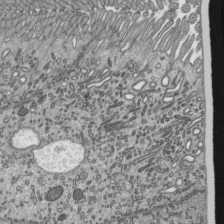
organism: Mouse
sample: Mouse epididymis efferent ductule cilia